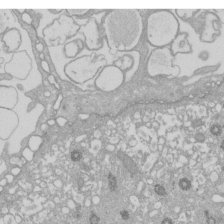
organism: Xenopus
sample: Cilia; centrioles in frog embryo cells